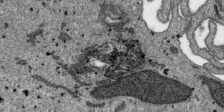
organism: Human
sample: Lung epithelial cells, uninfected (mock) control